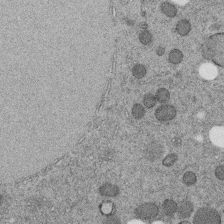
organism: C. elegans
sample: C. elegans embryo early stage